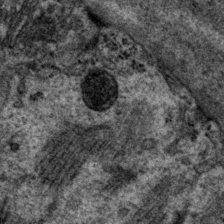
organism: P. pacificus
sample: Pharynx